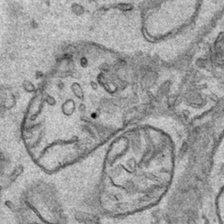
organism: Human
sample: Mitochondria in HCT116 cells